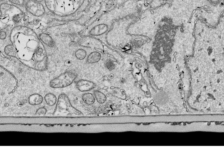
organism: Drosophila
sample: Cell division; meiosis; drosophila spermatocytes